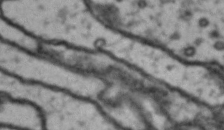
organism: Drosophila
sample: Brain